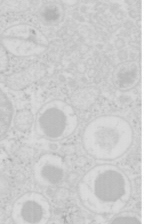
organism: Mouse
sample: Pancreas